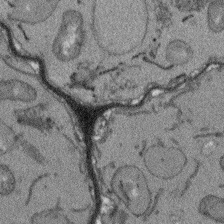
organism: Arabidopsis thaliana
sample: Root tip